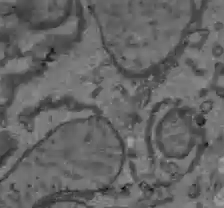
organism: C57BL Mouse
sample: Liver